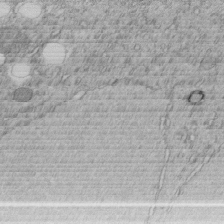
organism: C. elegans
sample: C. elegans embryo early stage